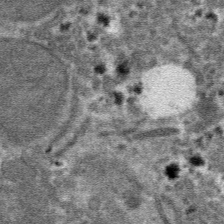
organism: Mouse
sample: Mouse hepatocytes